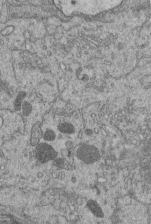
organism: Human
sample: Retinal organoid Rod and Cone cells